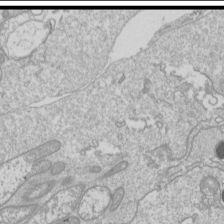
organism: Drosophila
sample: Cell division; meiosis; drosophila spermatocytes